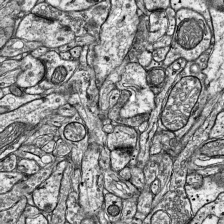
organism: Mouse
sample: Visual Cortex